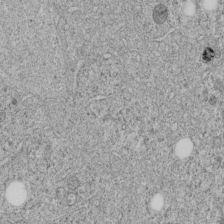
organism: C. elegans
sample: C. elegans embryo early stage